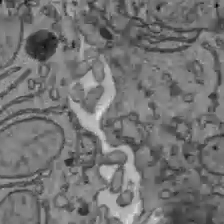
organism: C57BL Mouse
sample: Liver